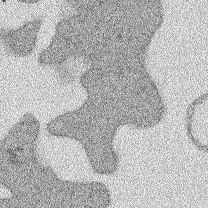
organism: Human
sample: HeLa cells